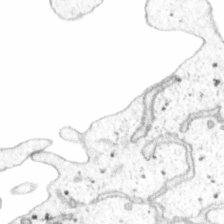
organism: Human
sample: HeLa cells